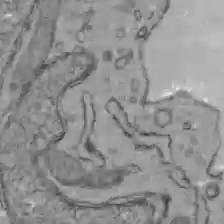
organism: C57BL Mouse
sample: Liver